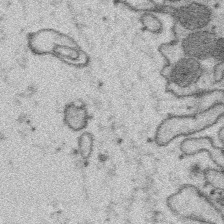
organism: Platynereis dumerilii